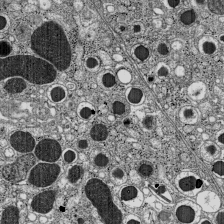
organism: C57BL Mouse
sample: Pancreatic islet